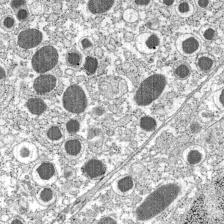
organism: C57BL Mouse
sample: Pancreatic islet